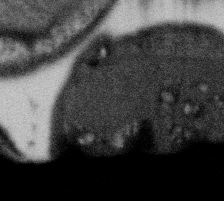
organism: Gemmata obscuriglobus